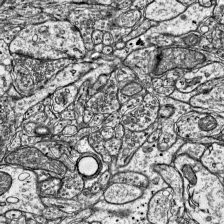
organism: Mouse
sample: Visual Cortex